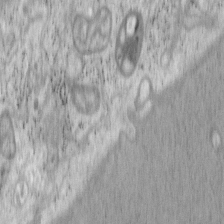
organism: Human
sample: HeLa cells